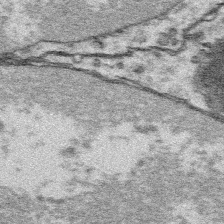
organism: Platynereis dumerilii